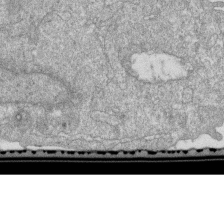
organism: Human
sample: HeLa cell HIV synapse